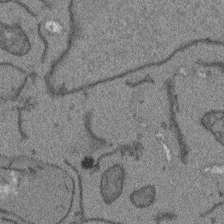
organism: Arabidopsis thaliana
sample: Root tip